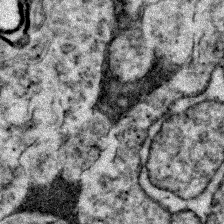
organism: Zebrafish